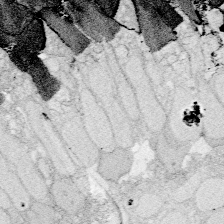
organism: Zebrafish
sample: Whole-Brain